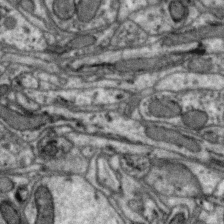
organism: Zebra finch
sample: Brain